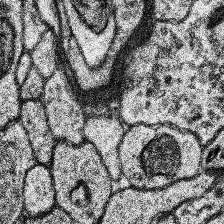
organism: Human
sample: Temporal Lobe